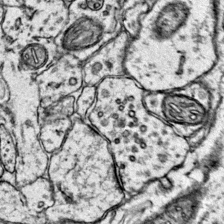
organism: Mouse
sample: Primary visual cortex